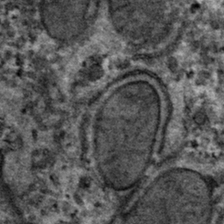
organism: Mouse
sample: Mouse hepatocytes